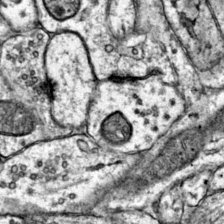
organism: Mouse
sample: Primary visual cortex